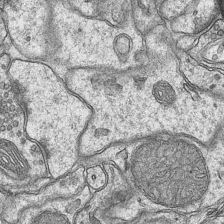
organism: Mouse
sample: CA1 Hippocampus